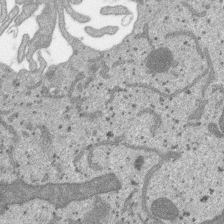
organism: Human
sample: Lung epithelial cells infected with SARS-CoV-2